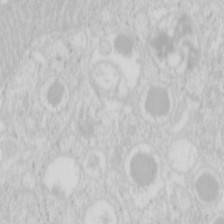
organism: Mouse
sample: Pancreas